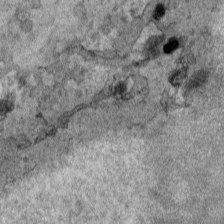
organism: Human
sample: Mitochondria in HCT116 cells